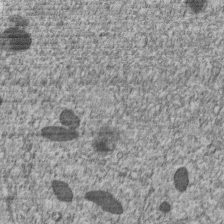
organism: C. elegans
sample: C. elegans embryo early stage